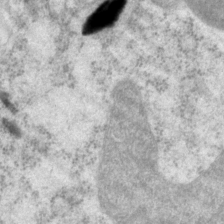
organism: P. pacificus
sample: Pharynx